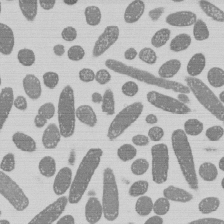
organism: E. coli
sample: Bacterial nucleoid